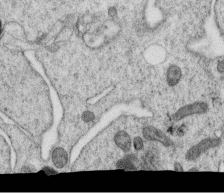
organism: C. elegans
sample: C. elegans oocyte; sperm cells